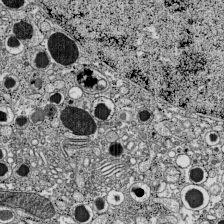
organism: C57BL Mouse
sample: Pancreatic islet